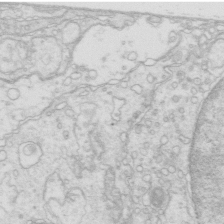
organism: Mouse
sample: Multiciliated cells